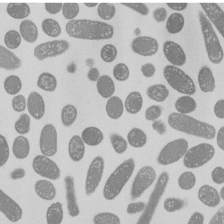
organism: E. coli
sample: Bacterial nucleoid